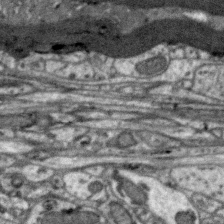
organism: Zebra finch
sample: Brain